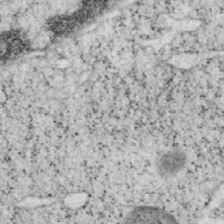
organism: Mouse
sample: OT-I killer T cells with ID8 ovarian cancer cells